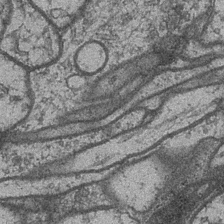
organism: Drosophila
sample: Optic medulla